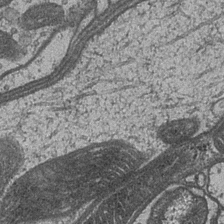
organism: Drosophila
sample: Optic medulla